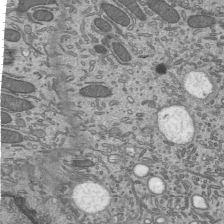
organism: Mouse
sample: Mouse epididymis efferent ductule cilia